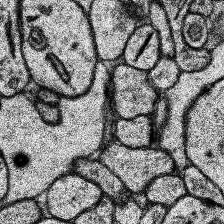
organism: Human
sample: Temporal Lobe